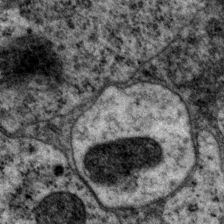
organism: P. pacificus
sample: Pharynx